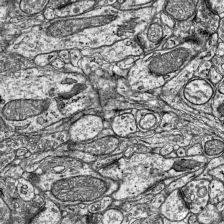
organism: Mouse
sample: Visual Cortex